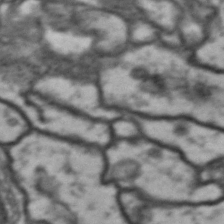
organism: Drosophila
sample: Brain